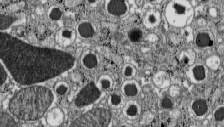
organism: C57BL Mouse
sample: Pancreatic islet